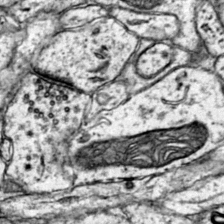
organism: Mouse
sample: Primary visual cortex